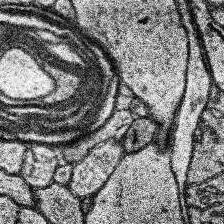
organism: Human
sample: Temporal Lobe